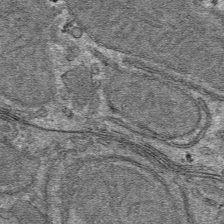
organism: Mouse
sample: Mouse hepatocytes